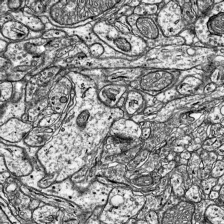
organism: Mouse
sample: Visual Cortex